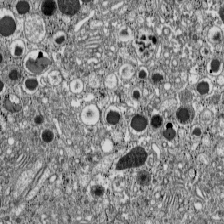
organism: C57BL Mouse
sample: Pancreatic islet